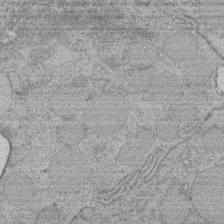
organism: Rat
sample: Salivary granule